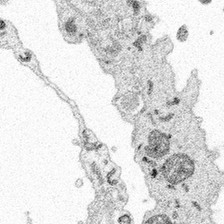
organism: Spongilla lacustris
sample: Multiple